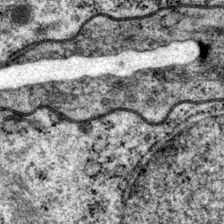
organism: P. pacificus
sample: Pharynx